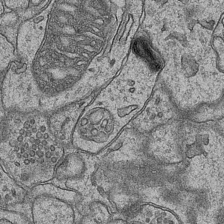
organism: Mouse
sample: CA1 Hippocampus